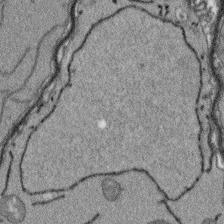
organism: Arabidopsis thaliana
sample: Root tip